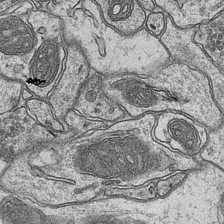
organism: Mouse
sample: CA1 Hippocampus